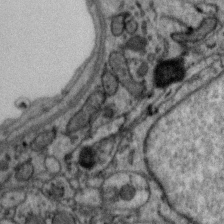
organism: Zebra finch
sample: Brain